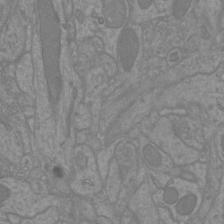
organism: Mouse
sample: Cortical neurons